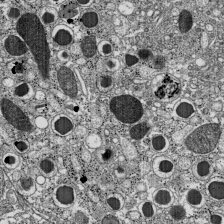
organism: C57BL Mouse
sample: Pancreatic islet